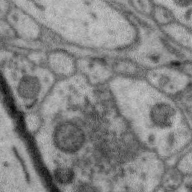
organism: Zebra finch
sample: Brain